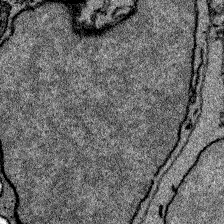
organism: Zebrafish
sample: Larval olfactory bulb